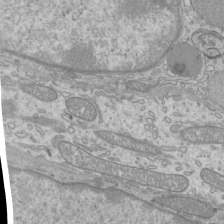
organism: Mouse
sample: Cilia; mouse epididymis